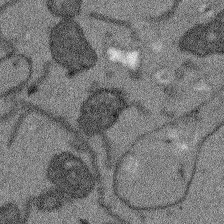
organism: Arabidopsis thaliana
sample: Root tip